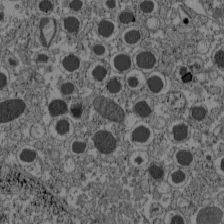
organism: C57BL Mouse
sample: Pancreatic islet